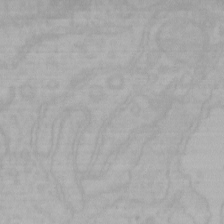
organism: Mouse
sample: Choroid plexus